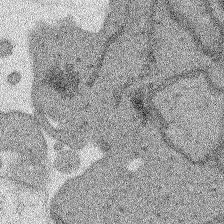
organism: Human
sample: HeLa cells